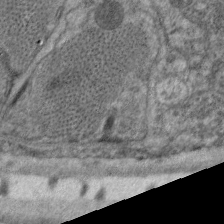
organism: C. elegans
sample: Pharynx